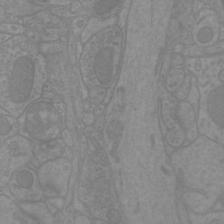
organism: Mouse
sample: Cortical neurons